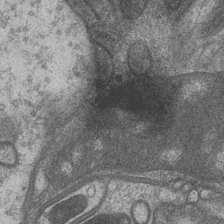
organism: Drosophila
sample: Optic medulla